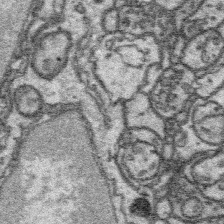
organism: Platynereis dumerilii